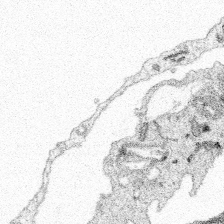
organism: Spongilla lacustris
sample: Multiple